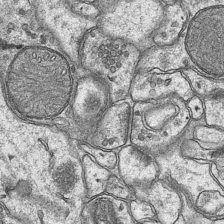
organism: Mouse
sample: CA1 Hippocampus